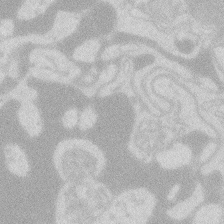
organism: Zebrafish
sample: Macrophage